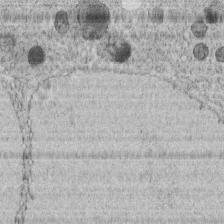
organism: C. elegans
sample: C. elegans embryo early stage